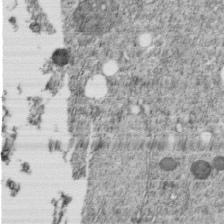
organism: C. elegans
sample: C. elegans embryo early stage